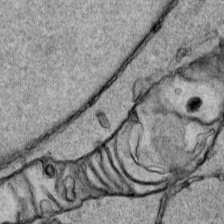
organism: Human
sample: Mitochondria in HCT116 cells